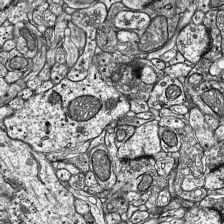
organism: Mouse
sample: Visual Cortex